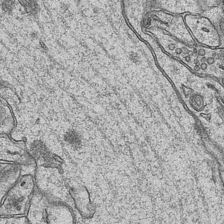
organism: Mouse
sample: CA1 Hippocampus